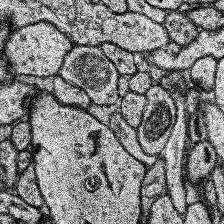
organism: Human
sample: Temporal Lobe